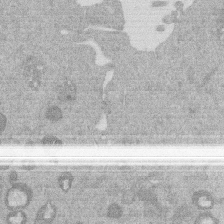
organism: Mouse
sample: Dividing mouse embryo 1 cell stage